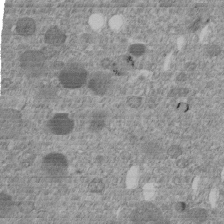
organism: C. elegans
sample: C. elegans embryo early stage